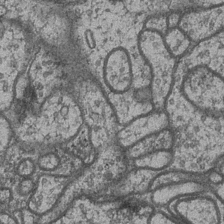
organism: Drosophila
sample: Optic medulla